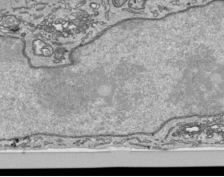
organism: Human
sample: Mitochondria in HCT116 cells